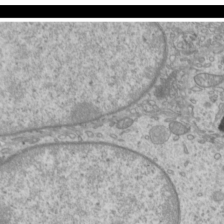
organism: Mouse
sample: Cilia; mouse epididymis